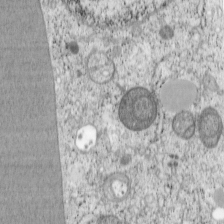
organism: African green monkey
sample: COS-7 cells